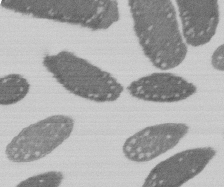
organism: E. coli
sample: Bacterial nucleoid